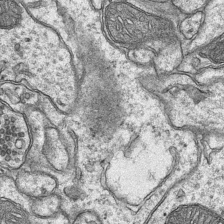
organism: Mouse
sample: CA1 Hippocampus